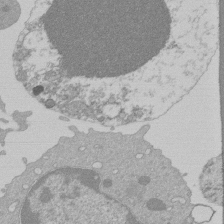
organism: Mouse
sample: Activated Pmel transgenic CD8+ T Cells